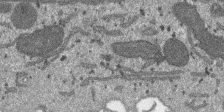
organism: Human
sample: Lung epithelial cells infected with SARS-CoV-2